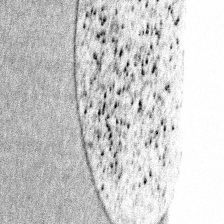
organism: Human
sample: HeLa cells